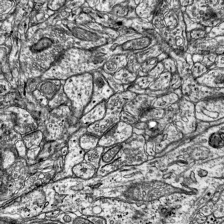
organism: Mouse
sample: Visual Cortex